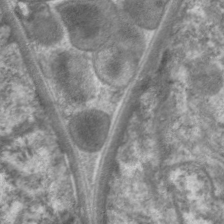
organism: C. elegans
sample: Pharynx